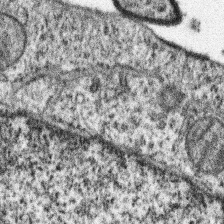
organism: Human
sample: HeLa cells